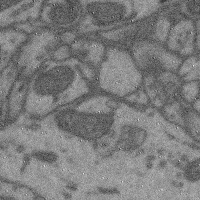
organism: Mouse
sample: Cerebral cortex